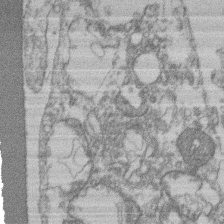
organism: Mouse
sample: T cell stromal cell synapse